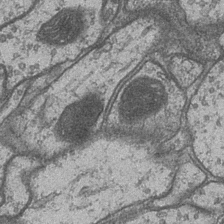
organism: Drosophila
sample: Optic medulla